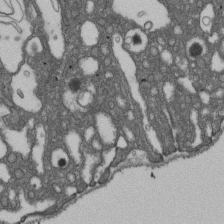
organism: Drosophila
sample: Nephrocyte